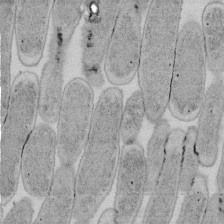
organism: E. coli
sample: Bacterial nucleoid